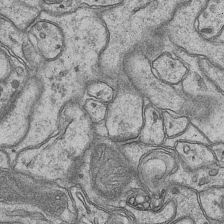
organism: Mouse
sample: CA1 Hippocampus